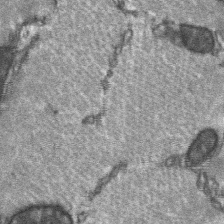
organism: C57BL Mouse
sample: Soleus